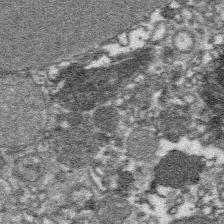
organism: Platynereis dumerilii